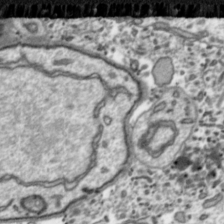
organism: Toxoplasma gondii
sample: Parasites in a vacuole inside a host cell